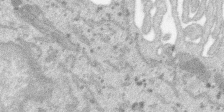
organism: Human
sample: Lung epithelial cells infected with SARS-CoV-2